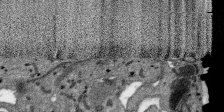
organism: Human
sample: Lung epithelial cells, uninfected (mock) control